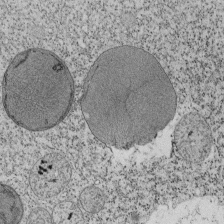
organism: Tetrahymena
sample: Cilia in tetrahymena